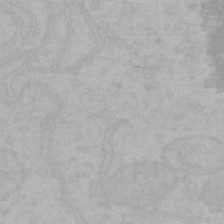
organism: Mouse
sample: Choroid plexus